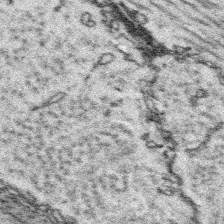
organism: Platynereis dumerilii